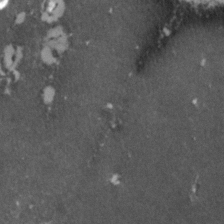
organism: Zebrafish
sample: Zebrafish embryo